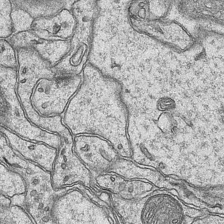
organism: Mouse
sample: CA1 Hippocampus